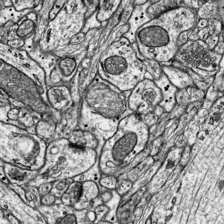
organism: Mouse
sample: Visual Cortex